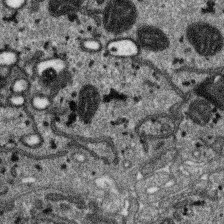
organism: Human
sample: Lung epithelial cells infected with SARS-CoV-2